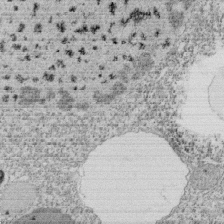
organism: Tetrahymena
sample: Cilia in tetrahymena